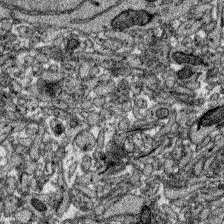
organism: Zebrafish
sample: Larval olfactory bulb